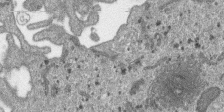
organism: Human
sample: Lung epithelial cells infected with SARS-CoV-2